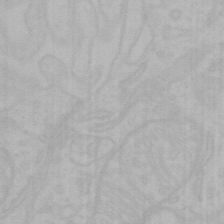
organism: Mouse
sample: Choroid plexus